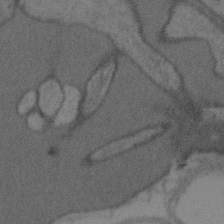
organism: Human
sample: HeLa cells